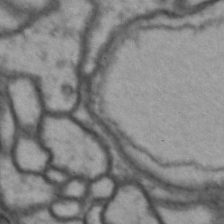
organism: Drosophila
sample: Brain